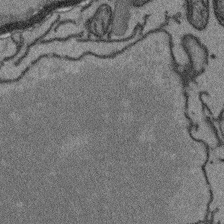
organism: Arabidopsis thaliana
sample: Root tip